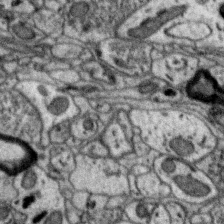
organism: Zebra finch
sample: Brain